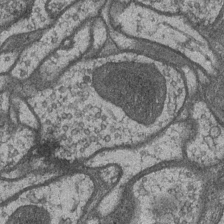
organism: Drosophila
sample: Optic medulla